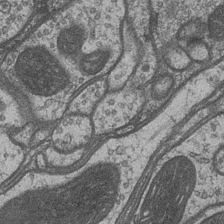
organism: Drosophila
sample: Optic medulla